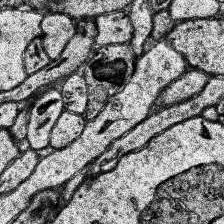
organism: Human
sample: Temporal Lobe